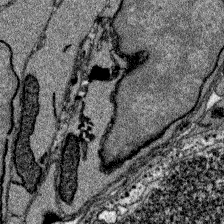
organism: Zebrafish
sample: Larval olfactory bulb